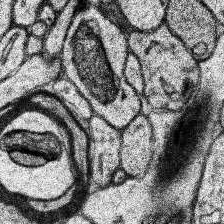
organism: Human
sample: Temporal Lobe